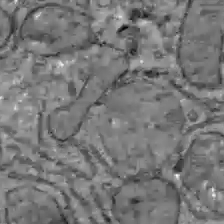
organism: C57BL Mouse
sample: Liver